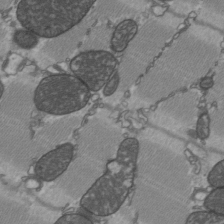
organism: C57BL Mouse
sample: Heart